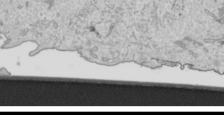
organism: Human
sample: Mitochondria in HCT116 cells